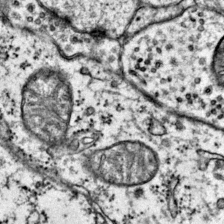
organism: Mouse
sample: Primary visual cortex